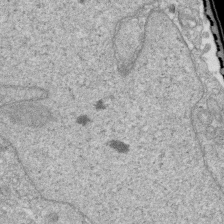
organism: Human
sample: HeLa cell HIV synapse